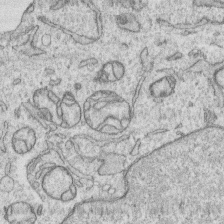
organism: Human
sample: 1205lu cells